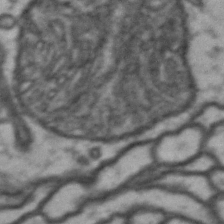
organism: Drosophila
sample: Brain